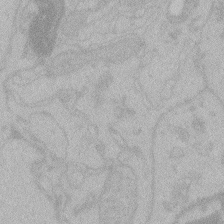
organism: Zebrafish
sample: Macrophage infected with Toxoplasma gondii